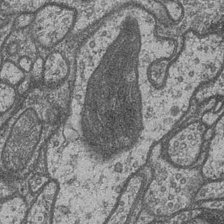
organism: Drosophila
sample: Optic medulla